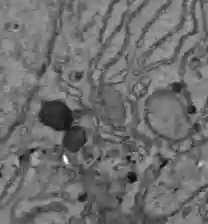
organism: C57BL Mouse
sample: Liver